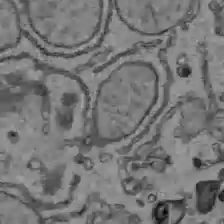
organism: C57BL Mouse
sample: Liver